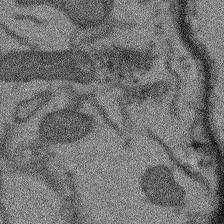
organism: Arabidopsis thaliana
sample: Root tip